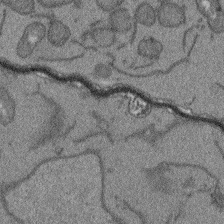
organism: Arabidopsis thaliana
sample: Root tip